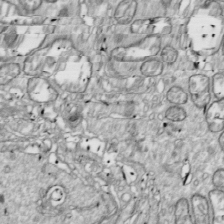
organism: Drosophila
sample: Cell division; meiosis; drosophila spermatocytes